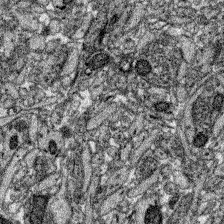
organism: Zebrafish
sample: Larval olfactory bulb